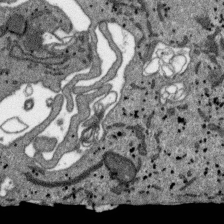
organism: Human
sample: Lung epithelial cells, uninfected (mock) control